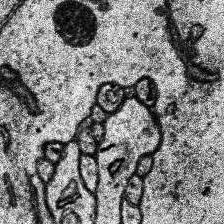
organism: Human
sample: Temporal Lobe